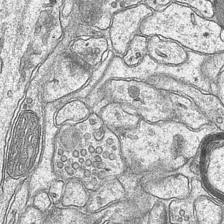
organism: Mouse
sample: CA1 Hippocampus